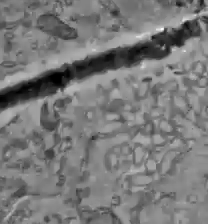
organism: C57BL Mouse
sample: Liver